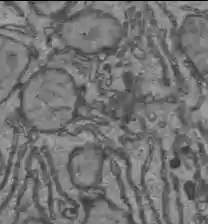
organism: C57BL Mouse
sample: Liver